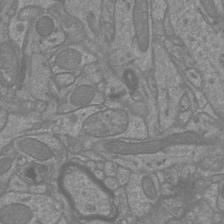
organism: Mouse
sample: Cortical neurons